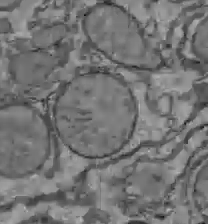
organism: C57BL Mouse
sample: Liver